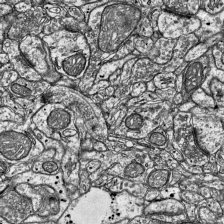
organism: Mouse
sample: Visual Cortex